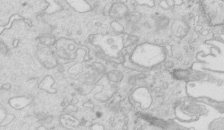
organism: Mouse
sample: Multiciliated cells